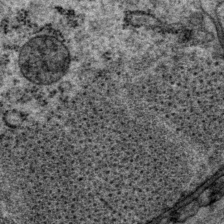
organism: P. pacificus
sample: Pharynx